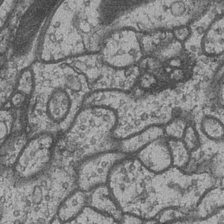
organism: Drosophila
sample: Optic medulla